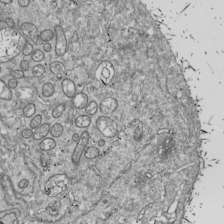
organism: Drosophila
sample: Cell division; meiosis; drosophila spermatocytes